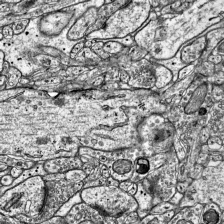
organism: Mouse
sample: Visual Cortex